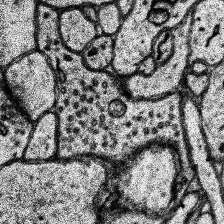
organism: Human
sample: Temporal Lobe